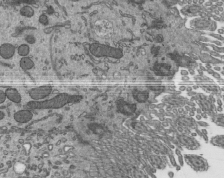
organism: Mouse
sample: Mouse epididymis efferent ductule cilia